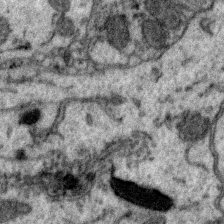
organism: Zebra finch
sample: Brain